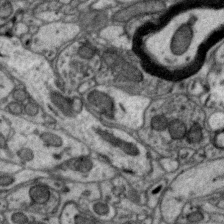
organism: Zebra finch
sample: Brain